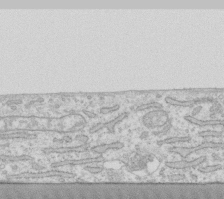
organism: Human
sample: Fibroblast cells